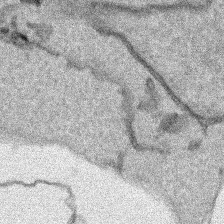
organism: Human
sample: Mitochondria in HCT116 cells